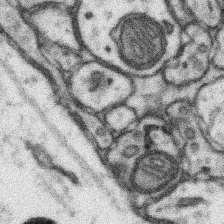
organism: Mouse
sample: Somatosensory cortex neuropil